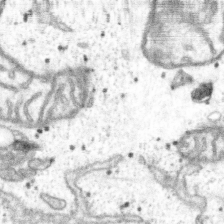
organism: Human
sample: HeLa cells